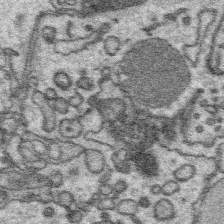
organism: Platynereis dumerilii